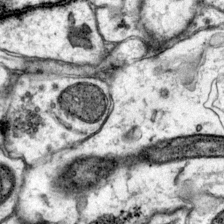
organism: Mouse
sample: Primary visual cortex